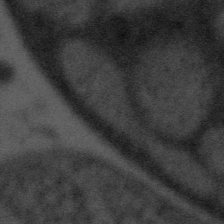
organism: Tuwongella immobilis